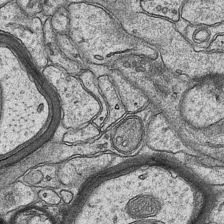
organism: Mouse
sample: CA1 Hippocampus